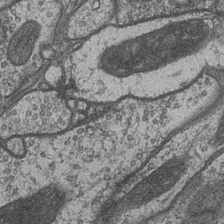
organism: Drosophila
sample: Optic medulla